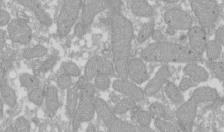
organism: Xenopus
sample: Cilia; centrioles in frog embryo cells